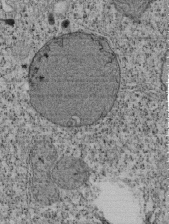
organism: Tetrahymena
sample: Cilia in tetrahymena